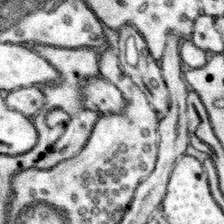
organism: Mouse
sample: Somatosensory cortex neuropil